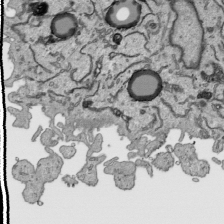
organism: Human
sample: Mitochondria in HCT116 cells